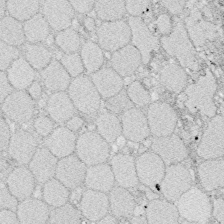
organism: Zebrafish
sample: Whole-Brain